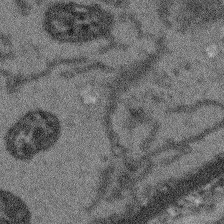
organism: Arabidopsis thaliana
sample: Root tip